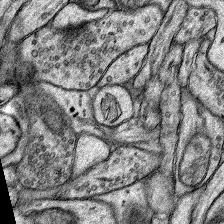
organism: Rat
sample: Hippocampus